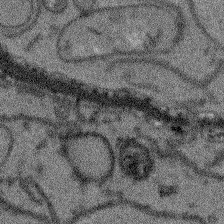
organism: Arabidopsis thaliana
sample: Root tip